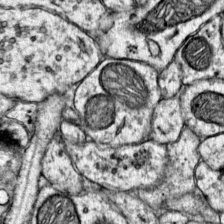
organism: Mouse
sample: Primary visual cortex